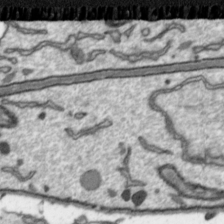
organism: Toxoplasma gondii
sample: Parasites in a vacuole inside a host cell